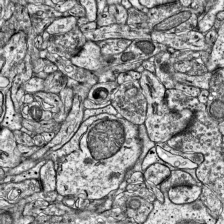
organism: Mouse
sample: Visual Cortex